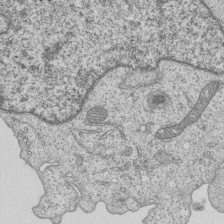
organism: Human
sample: MDA-MB-231 cells